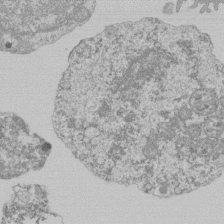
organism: Mouse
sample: Activated Pmel transgenic CD8+ T Cells